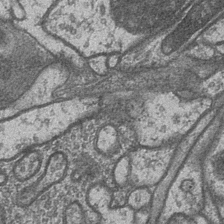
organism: Drosophila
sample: Optic medulla